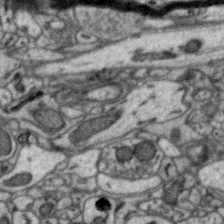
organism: Zebra finch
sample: Brain